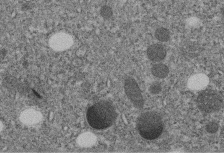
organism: C. elegans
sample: C. elegans embryo early stage